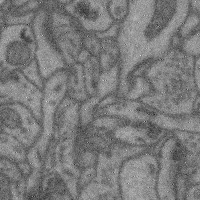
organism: Mouse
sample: Cerebral cortex